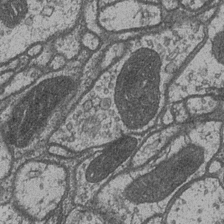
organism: Drosophila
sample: Optic medulla